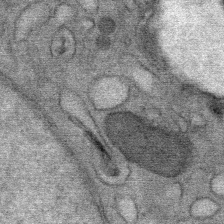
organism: Mouse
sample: Mouse Salivary gland